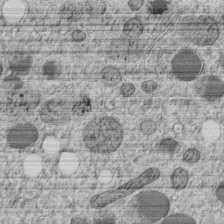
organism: C. elegans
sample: C. elegans embryo early stage